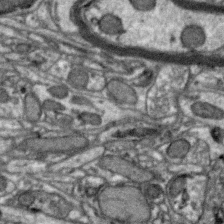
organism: Zebra finch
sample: Brain